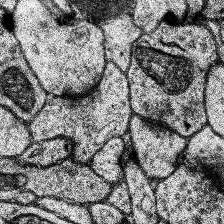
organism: Human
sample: Temporal Lobe